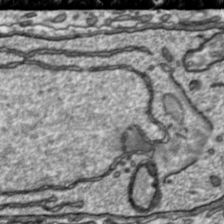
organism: Toxoplasma gondii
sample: Parasites in a vacuole inside a host cell